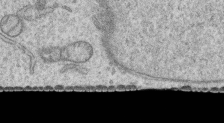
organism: Human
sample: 1205lu cells